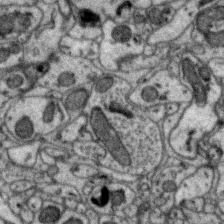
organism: Zebra finch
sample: Brain